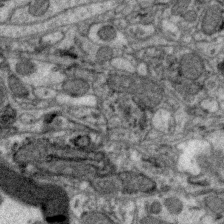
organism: Zebra finch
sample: Brain